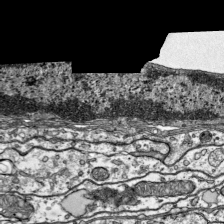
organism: Mouse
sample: Visual Cortex